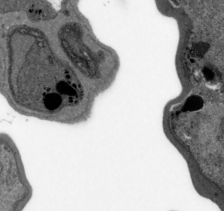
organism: Plasmodium falciparum